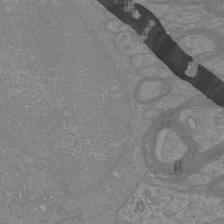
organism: Mouse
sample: Cortical neurons